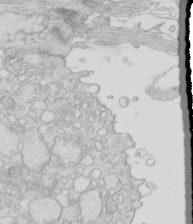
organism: Mouse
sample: Multiciliated cells